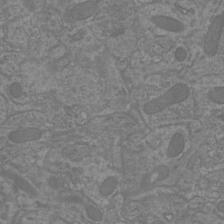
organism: Mouse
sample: Cortical neurons